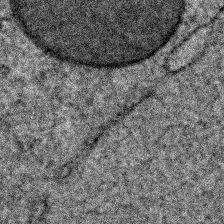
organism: C. elegans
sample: C. elegans embryo